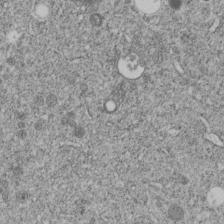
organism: C. elegans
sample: C. elegans embryo early stage